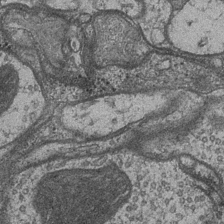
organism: Drosophila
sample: Optic medulla